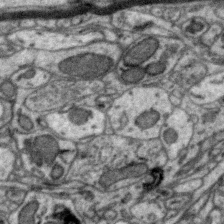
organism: Zebra finch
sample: Brain